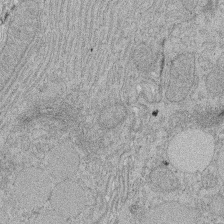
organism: Rat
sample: Salivary granule